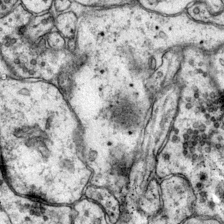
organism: Mouse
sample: Primary visual cortex